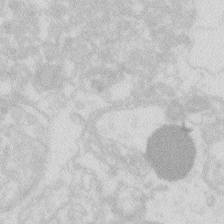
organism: Zebrafish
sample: Macrophage